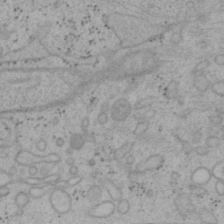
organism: Human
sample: HeLa cells